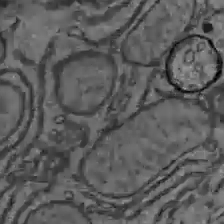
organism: C57BL Mouse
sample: Liver